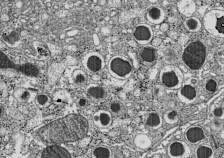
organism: C57BL Mouse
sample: Pancreatic islet